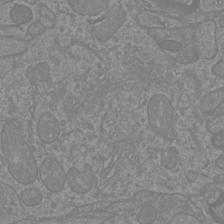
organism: Mouse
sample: Cortical neurons